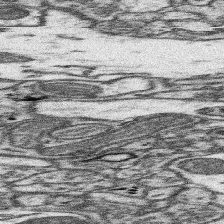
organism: Mouse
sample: Somatosensory cortex neuropil